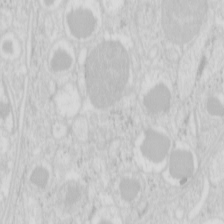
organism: Mouse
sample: Pancreas